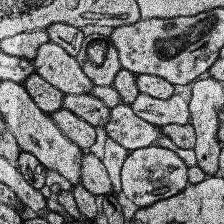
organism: Human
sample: Temporal Lobe